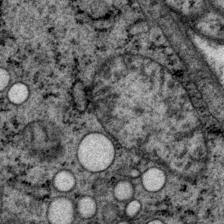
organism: P. pacificus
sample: Pharynx